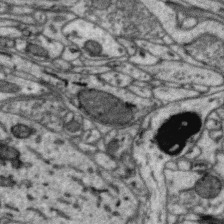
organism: Zebra finch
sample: Brain